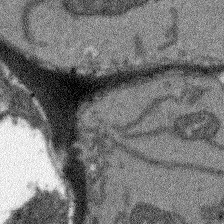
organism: Arabidopsis thaliana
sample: Root tip